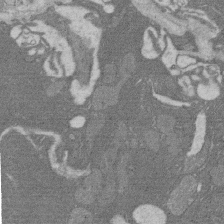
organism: Rat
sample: Salivary granule